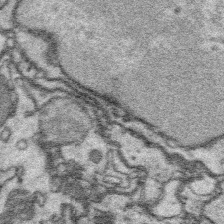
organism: Platynereis dumerilii